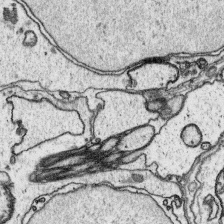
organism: Platynereis dumerilii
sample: Parapodia